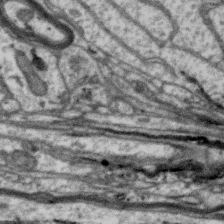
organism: Zebra finch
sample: Brain